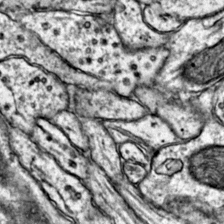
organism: Mouse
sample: Primary visual cortex